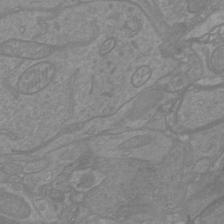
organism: Mouse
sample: Cortical neurons